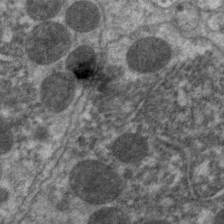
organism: C. elegans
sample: Pharynx